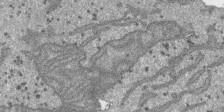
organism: Human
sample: Lung epithelial cells infected with SARS-CoV-2